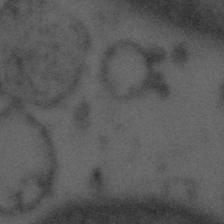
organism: Tuwongella immobilis